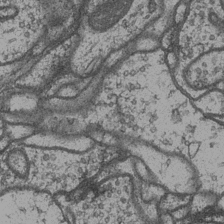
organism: Drosophila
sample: Optic medulla